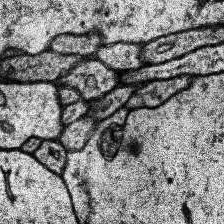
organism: Human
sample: Temporal Lobe